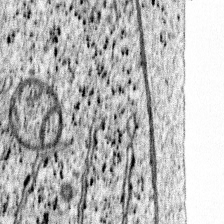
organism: Human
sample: HeLa cells